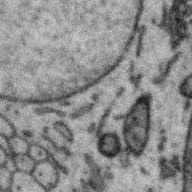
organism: Zebra finch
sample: Brain